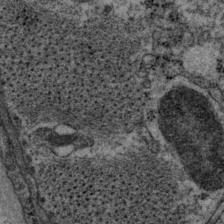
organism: P. pacificus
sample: Pharynx